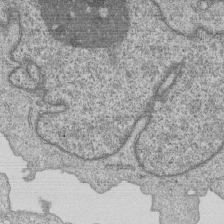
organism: Human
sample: MDA-MB-231 cells